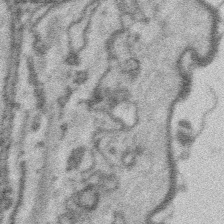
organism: Platynereis dumerilii